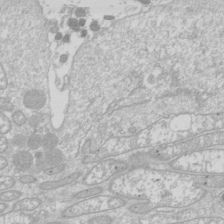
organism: Drosophila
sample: Cell division; meiosis; drosophila spermatocytes